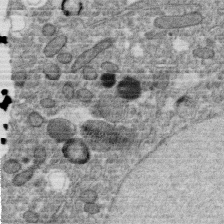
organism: C. elegans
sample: C. elegans oocyte; sperm cells